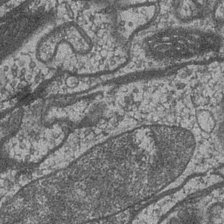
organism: Drosophila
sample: Optic medulla